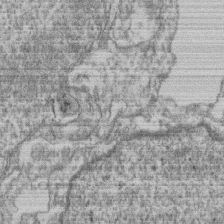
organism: Mouse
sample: T cell stromal cell synapse